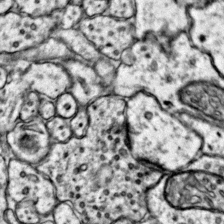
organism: Mouse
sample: Primary visual cortex